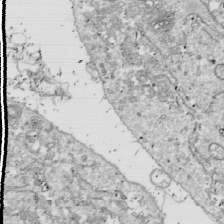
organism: Drosophila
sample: Cell division; meiosis; drosophila spermatocytes